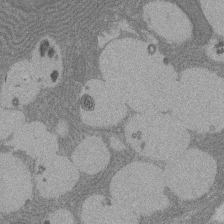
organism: Rat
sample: Salivary granule